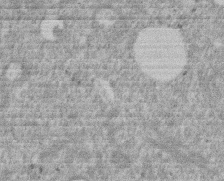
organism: Mouse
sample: Dividing mouse embryo 1 cell stage